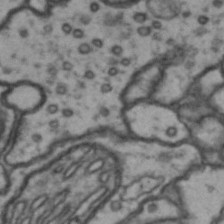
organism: Drosophila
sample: Brain